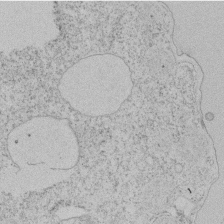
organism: Tetrahymena